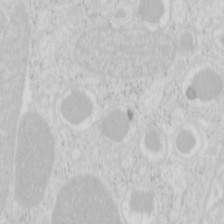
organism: Mouse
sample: Pancreas